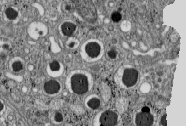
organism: C57BL Mouse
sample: Pancreatic islet